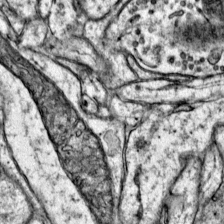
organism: Mouse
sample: Primary visual cortex